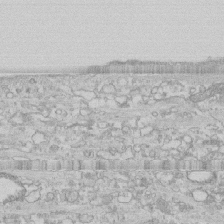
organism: Human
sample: CRL-1474